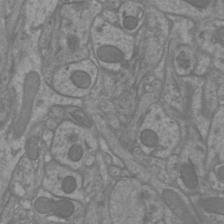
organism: Mouse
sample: Cortical neurons